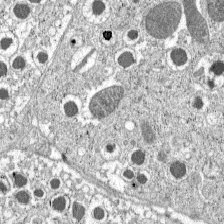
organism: C57BL Mouse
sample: Pancreatic islet